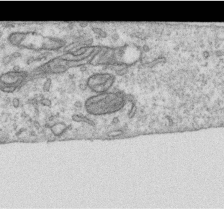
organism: Human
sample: Centriole in RPE cells